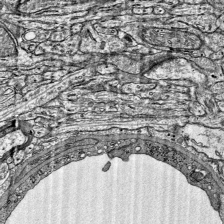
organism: Mouse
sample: Visual Cortex